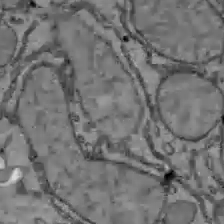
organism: C57BL Mouse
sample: Liver